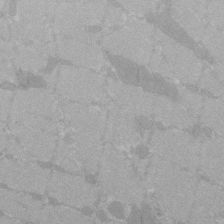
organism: C57BL Mouse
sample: Tibialis anterior muscle cell